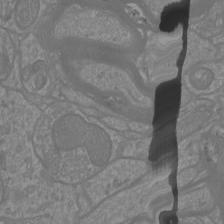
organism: Mouse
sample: Cortical neurons